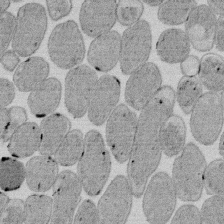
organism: E. coli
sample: Bacterial nucleoid